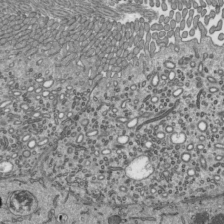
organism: Mouse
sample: Mouse epididymis efferent ductule cilia